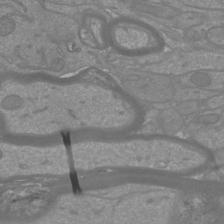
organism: Mouse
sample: Cortical neurons